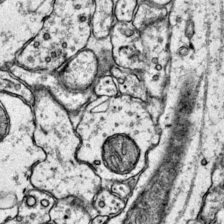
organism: Mouse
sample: Primary visual cortex